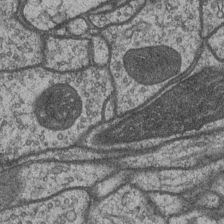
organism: Drosophila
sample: Optic medulla